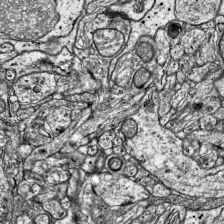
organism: Mouse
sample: Visual Cortex